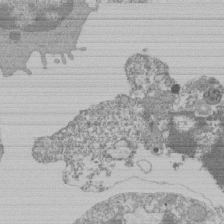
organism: Mouse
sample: Activated Pmel transgenic CD8+ T Cells